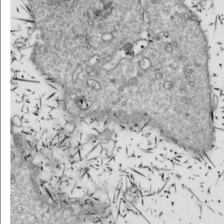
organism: Drosophila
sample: Cell division; meiosis; drosophila spermatocytes